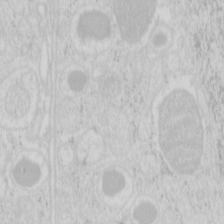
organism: Mouse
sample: Pancreas